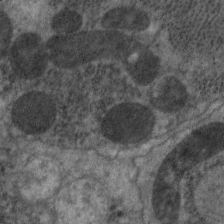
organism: C. elegans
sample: Pharynx